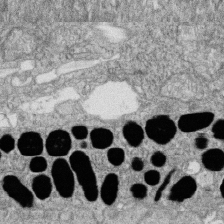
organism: Zebrafish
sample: Cilia; retinal pigment epithelium